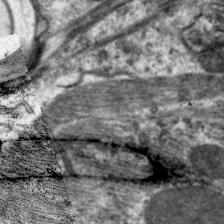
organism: C. elegans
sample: Pharynx